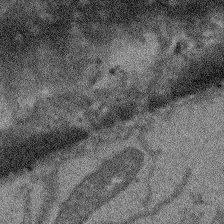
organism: Arabidopsis thaliana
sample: Root tip